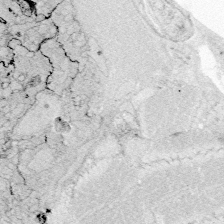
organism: Zebrafish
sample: Whole-Brain